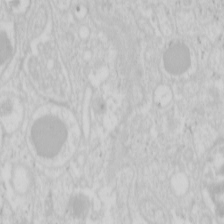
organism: Mouse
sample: Pancreas